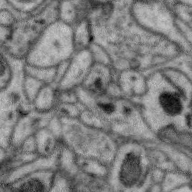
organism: Zebra finch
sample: Brain